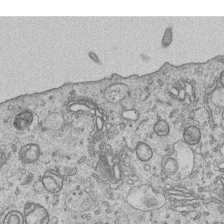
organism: Human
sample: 1205lu cells